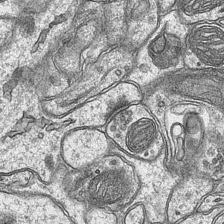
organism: Mouse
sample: CA1 Hippocampus